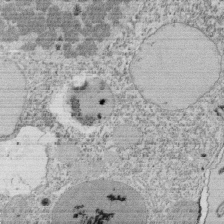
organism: Tetrahymena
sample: Cilia in tetrahymena